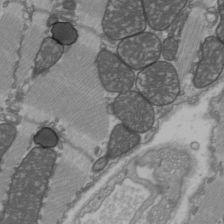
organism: C57BL Mouse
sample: Heart